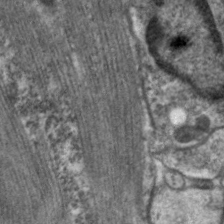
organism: C. elegans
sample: Pharynx